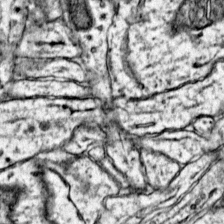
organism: Mouse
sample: Primary visual cortex